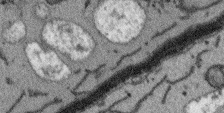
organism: Arabidopsis thaliana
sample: Root tip